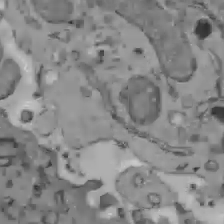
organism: C57BL Mouse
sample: Liver